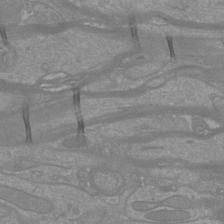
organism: Mouse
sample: Cortical neurons